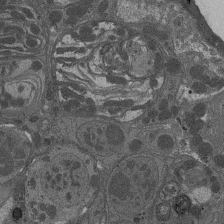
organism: Drosophila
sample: Antenna